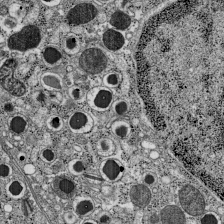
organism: C57BL Mouse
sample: Pancreatic islet